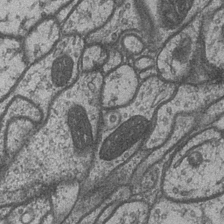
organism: Drosophila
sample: Optic medulla